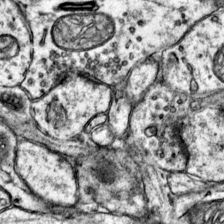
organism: Mouse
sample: Primary visual cortex